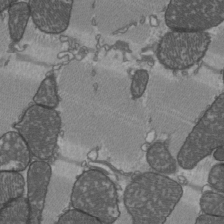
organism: C57BL Mouse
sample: Heart